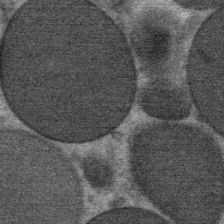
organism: Mouse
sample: Mouse Salivary gland